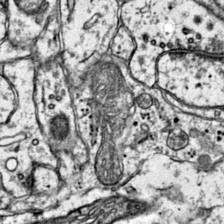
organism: Mouse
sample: Primary visual cortex